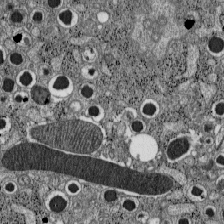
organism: C57BL Mouse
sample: Pancreatic islet